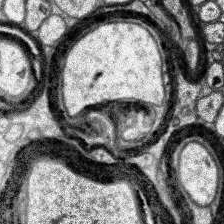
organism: Human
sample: Temporal Lobe